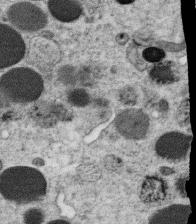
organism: C. elegans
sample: C. elegans oocyte; sperm cells